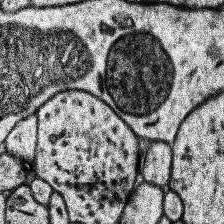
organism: Human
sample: Temporal Lobe